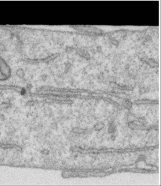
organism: Human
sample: Centriole in RPE cells